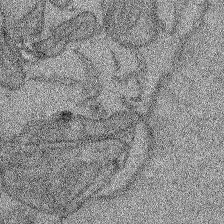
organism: Human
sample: HeLa cells